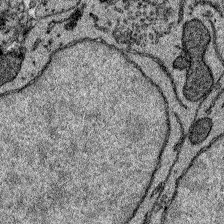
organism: Zebrafish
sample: Larval olfactory bulb